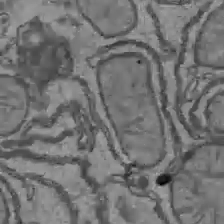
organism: C57BL Mouse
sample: Liver